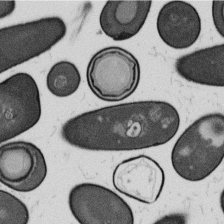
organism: B. subtilis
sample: Bacterial spore